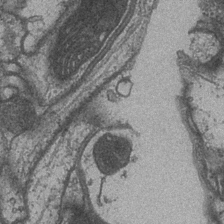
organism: Drosophila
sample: Optic medulla